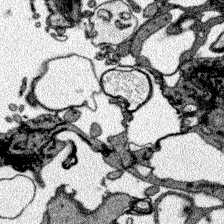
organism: Zebrafish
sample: Larval olfactory bulb